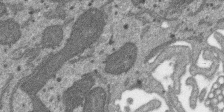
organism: Human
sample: Lung epithelial cells infected with SARS-CoV-2